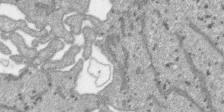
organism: Human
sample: Lung epithelial cells infected with SARS-CoV-2